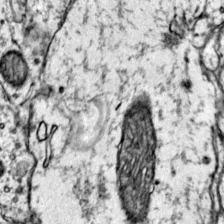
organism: Mouse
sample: Primary visual cortex